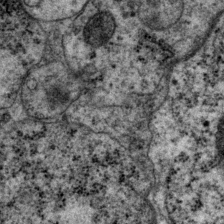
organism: P. pacificus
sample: Pharynx